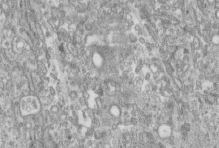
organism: Human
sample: Centriole in fibroblast cells